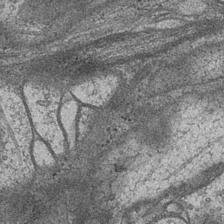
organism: Drosophila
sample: Optic medulla